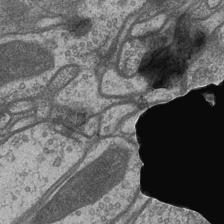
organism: Drosophila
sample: Optic medulla